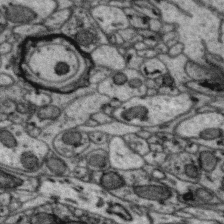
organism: Zebra finch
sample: Brain